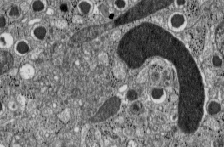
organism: C57BL Mouse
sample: Pancreatic islet